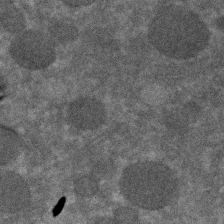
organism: C. elegans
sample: C. elegans embryo